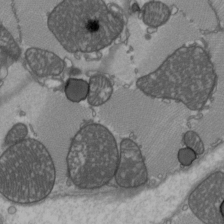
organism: C57BL Mouse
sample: Heart